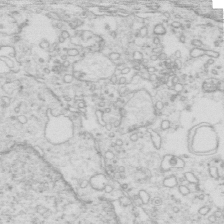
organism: Mouse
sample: Multiciliated cells